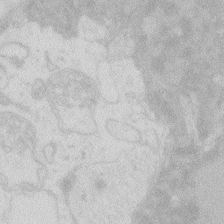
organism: Zebrafish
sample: Macrophage